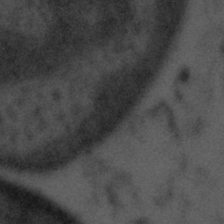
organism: Tuwongella immobilis